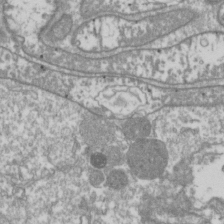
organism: Drosophila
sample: Cell division; meiosis; drosophila spermatocytes